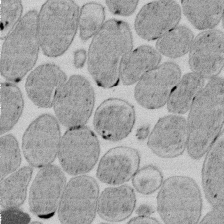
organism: E. coli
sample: Bacterial nucleoid